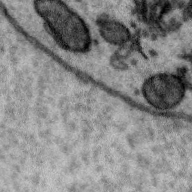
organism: Zebra finch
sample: Brain